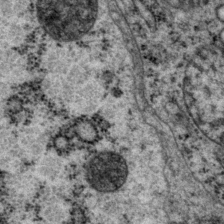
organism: P. pacificus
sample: Pharynx